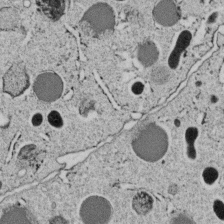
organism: C. elegans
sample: C. elegans embryo early stage